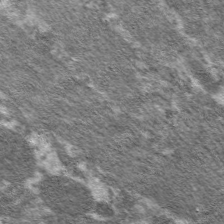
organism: C. elegans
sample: Pharynx